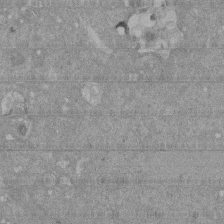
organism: Mouse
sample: ED-1 cell nuclei; centrioles